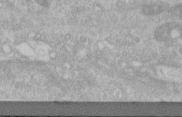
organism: Human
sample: Centriole in RPE cells